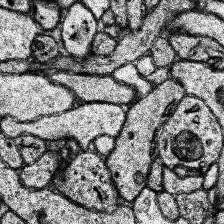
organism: Human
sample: Temporal Lobe